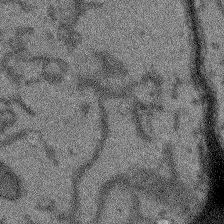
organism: Arabidopsis thaliana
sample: Root tip